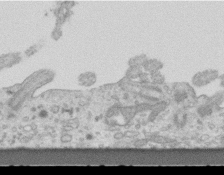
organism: Mouse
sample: Centriole in ependymal cells